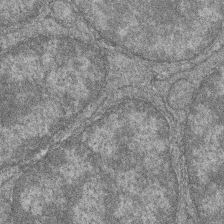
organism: Zebrafish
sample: Cilia; retinal pigment epithelium